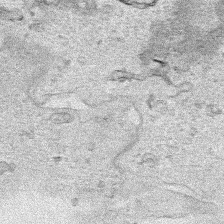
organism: Human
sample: Mitochondria in HCT116 cells